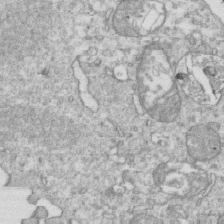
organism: Mouse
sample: Activated OT-1 CD8+ T cells